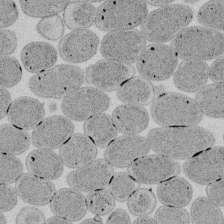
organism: E. coli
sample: Bacterial nucleoid